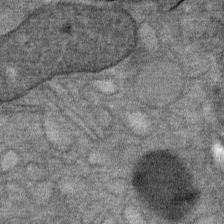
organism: Mouse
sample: Mouse Salivary gland